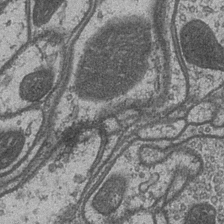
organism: Drosophila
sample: Optic medulla